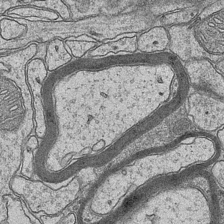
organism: Mouse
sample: CA1 Hippocampus